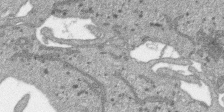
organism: Human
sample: Lung epithelial cells infected with SARS-CoV-2